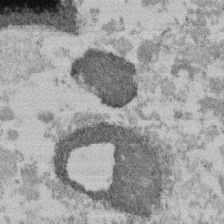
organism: Mouse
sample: Dividing mouse embryo 1 cell stage